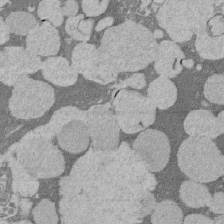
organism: Rat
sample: Salivary granule